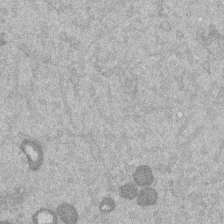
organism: Mouse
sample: Dividing mouse embryo 1 cell stage